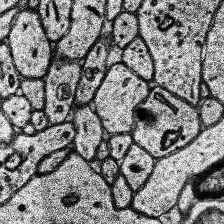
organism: Human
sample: Temporal Lobe